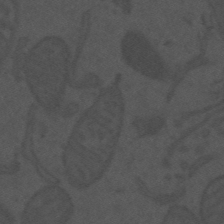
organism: Mouse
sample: Suprachiasmatic nucleus